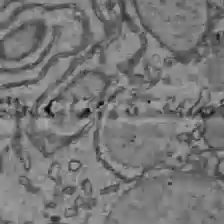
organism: C57BL Mouse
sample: Liver